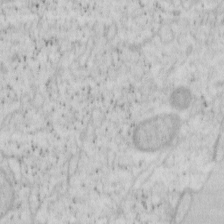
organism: Human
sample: HeLa cells